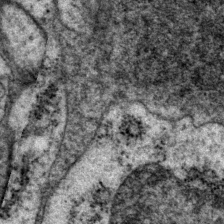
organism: P. pacificus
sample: Pharynx